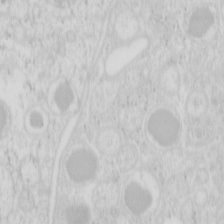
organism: Mouse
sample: Pancreas